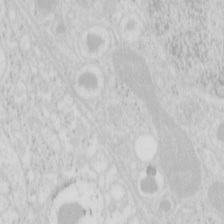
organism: Mouse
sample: Pancreas